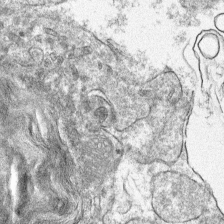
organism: Mouse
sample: Mouse hepatocytes